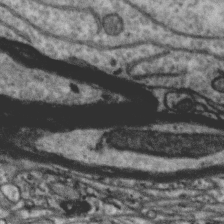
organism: Zebra finch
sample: Brain